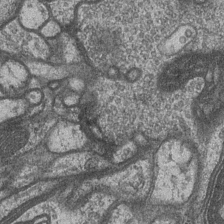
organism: Drosophila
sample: Optic medulla